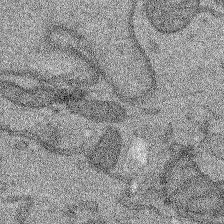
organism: Human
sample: HeLa cells